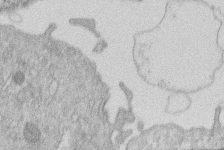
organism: Human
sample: Macrophage cells